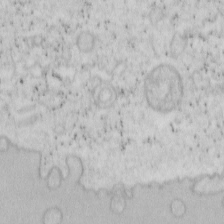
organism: Human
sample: HeLa cells